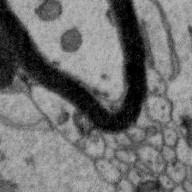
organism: Zebra finch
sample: Brain